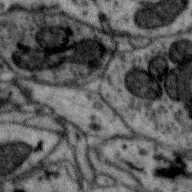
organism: Zebra finch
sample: Brain